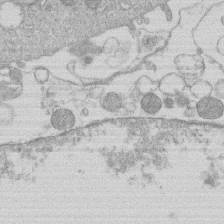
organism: Human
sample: Macrophage cells